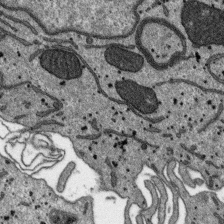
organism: Human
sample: Lung epithelial cells, uninfected (mock) control